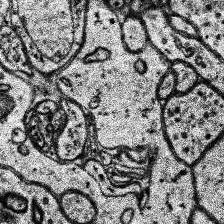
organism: Human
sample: Temporal Lobe